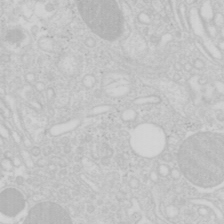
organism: Mouse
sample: Pancreas